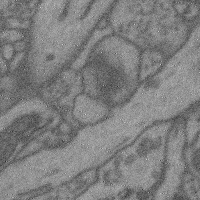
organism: Mouse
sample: Cerebral cortex